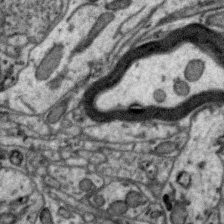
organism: Zebra finch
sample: Brain